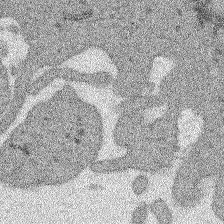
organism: Human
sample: HeLa cells